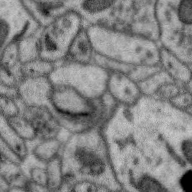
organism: Zebra finch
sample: Brain